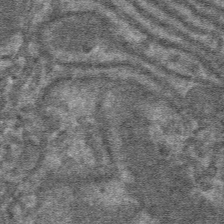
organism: Mouse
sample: Mouse hepatocytes